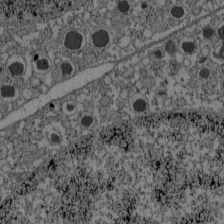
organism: C57BL Mouse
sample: Pancreatic islet